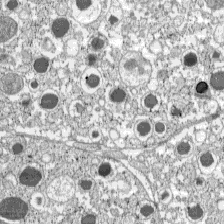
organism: C57BL Mouse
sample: Pancreatic islet